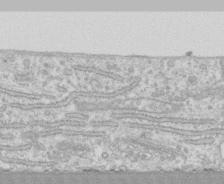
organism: Human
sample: CRL-1474